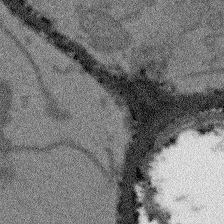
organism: Arabidopsis thaliana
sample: Root tip